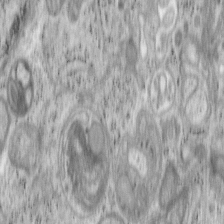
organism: Human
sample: HeLa cells